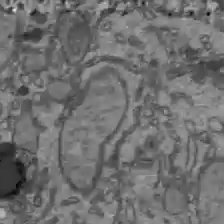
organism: C57BL Mouse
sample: Liver